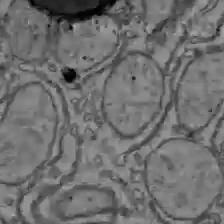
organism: C57BL Mouse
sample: Liver